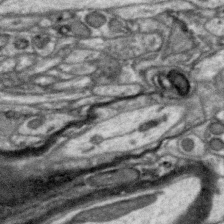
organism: Zebra finch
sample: Brain